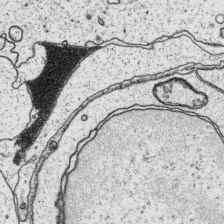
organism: Platynereis dumerilii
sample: Parapodia